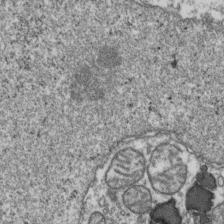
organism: Human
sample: Activated Jurkat CD4+ T cells